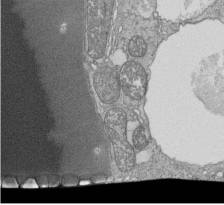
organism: Tetrahymena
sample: Cilia in tetrahymena